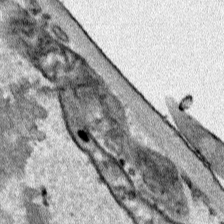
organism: Human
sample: Mitochondria in HCT116 cells